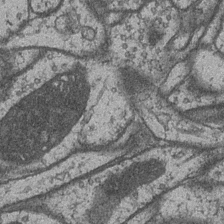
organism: Drosophila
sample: Optic medulla